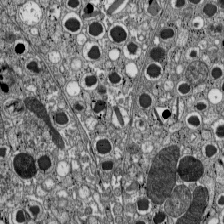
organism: C57BL Mouse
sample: Pancreatic islet